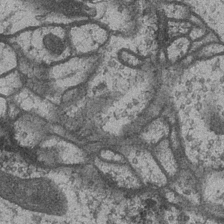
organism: Drosophila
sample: Optic medulla